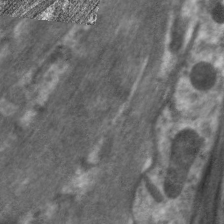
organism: C. elegans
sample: Pharynx